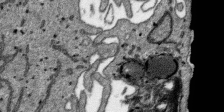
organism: Human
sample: Lung epithelial cells, uninfected (mock) control